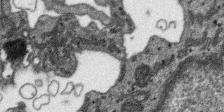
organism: Human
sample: Lung epithelial cells infected with SARS-CoV-2